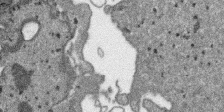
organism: Human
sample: Lung epithelial cells infected with SARS-CoV-2